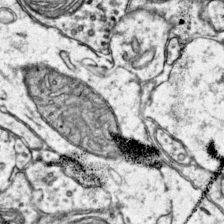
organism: Mouse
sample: Primary visual cortex